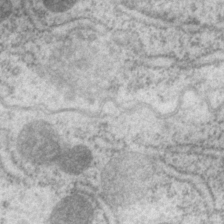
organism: P. pacificus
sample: Pharynx